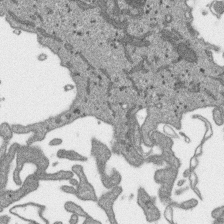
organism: Human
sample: Lung epithelial cells infected with SARS-CoV-2